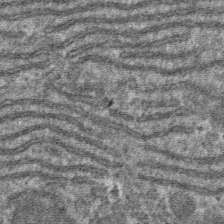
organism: Mouse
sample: Mouse hepatocytes